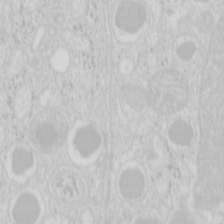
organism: Mouse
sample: Pancreas